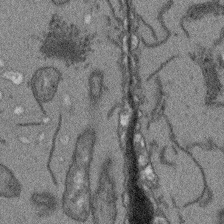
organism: Arabidopsis thaliana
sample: Root tip